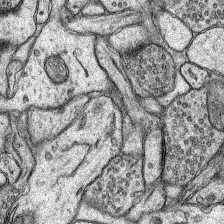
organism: Rat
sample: Hippocampus